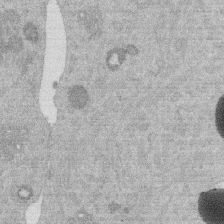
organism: Mouse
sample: Dividing mouse embryo 1 cell stage